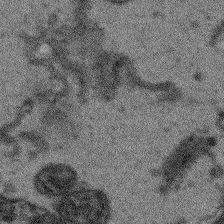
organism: Arabidopsis thaliana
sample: Root tip